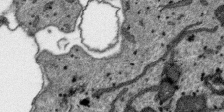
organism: Human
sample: Lung epithelial cells, uninfected (mock) control